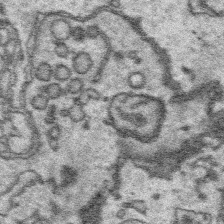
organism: Platynereis dumerilii